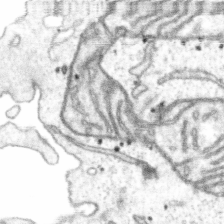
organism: Human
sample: HeLa cells